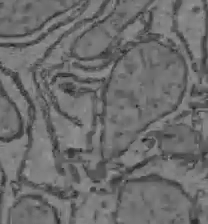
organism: C57BL Mouse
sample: Liver